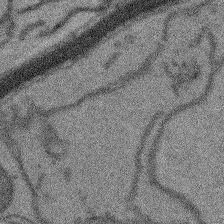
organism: Arabidopsis thaliana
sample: Root tip